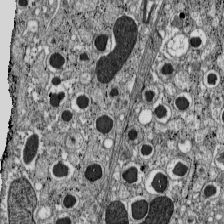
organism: C57BL Mouse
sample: Pancreatic islet